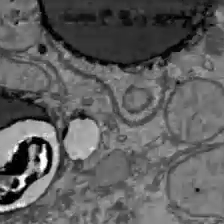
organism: C57BL Mouse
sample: Liver